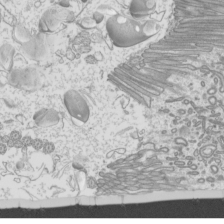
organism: Mouse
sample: Cilia; mouse epididymis